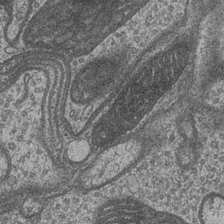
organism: Drosophila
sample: Optic medulla